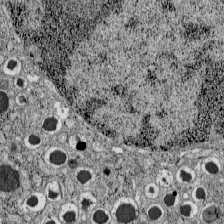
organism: C57BL Mouse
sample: Pancreatic islet